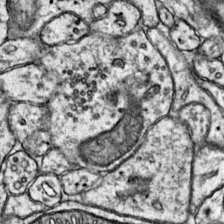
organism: Mouse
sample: Primary visual cortex